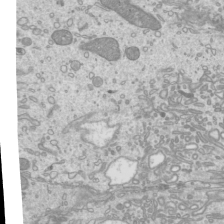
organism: Mouse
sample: Cilia; mouse epididymis